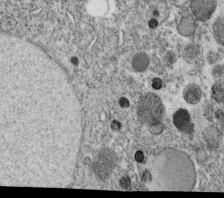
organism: C. elegans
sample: C. elegans oocyte; sperm cells